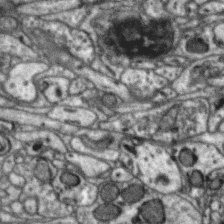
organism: Zebra finch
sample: Brain